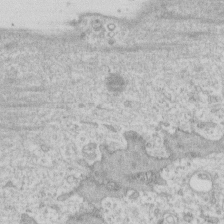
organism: Human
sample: Fibroblast cells